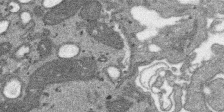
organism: Human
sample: Lung epithelial cells infected with SARS-CoV-2